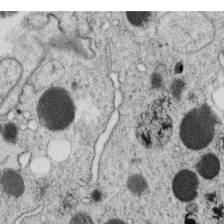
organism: C. elegans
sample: C. elegans oocyte; sperm cells